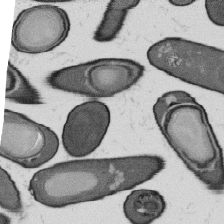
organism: B. subtilis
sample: Bacterial spore